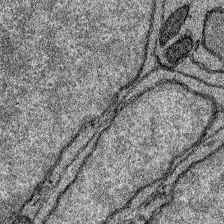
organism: Zebrafish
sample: Larval olfactory bulb